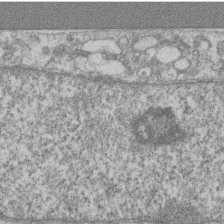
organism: Mouse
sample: T cell stromal cell synapse